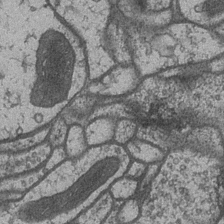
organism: Drosophila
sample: Optic medulla